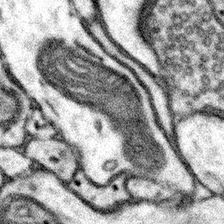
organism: Mouse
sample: Somatosensory cortex neuropil